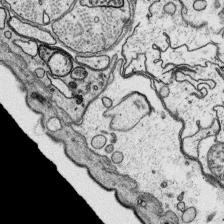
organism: Platynereis dumerilii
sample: Parapodia